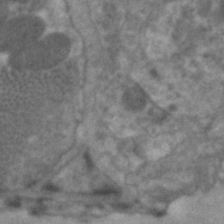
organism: C. elegans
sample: Pharynx